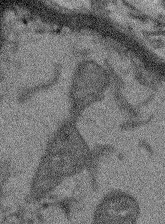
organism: Arabidopsis thaliana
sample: Root tip